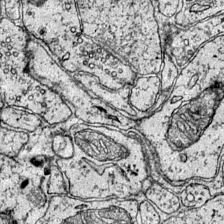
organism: Mouse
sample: Primary visual cortex